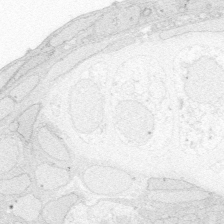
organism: Zebrafish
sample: Whole-Brain